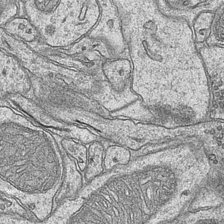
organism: Mouse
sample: CA1 Hippocampus